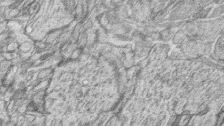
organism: Zebrafish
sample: synaptic ribbons in rod cells and cone cells